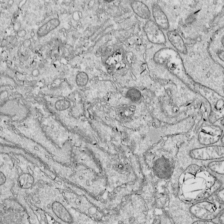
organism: Drosophila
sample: Cell division; meiosis; drosophila spermatocytes